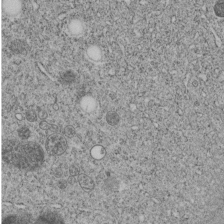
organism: C. elegans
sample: C. elegans embryo early stage